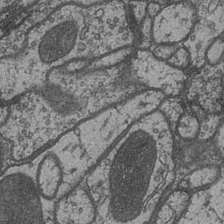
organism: Drosophila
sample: Optic medulla